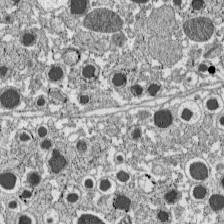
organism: C57BL Mouse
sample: Pancreatic islet